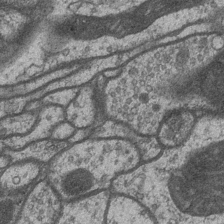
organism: Drosophila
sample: Optic medulla